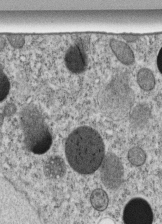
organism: C. elegans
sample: C. elegans embryo early stage